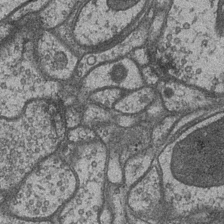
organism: Drosophila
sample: Optic medulla